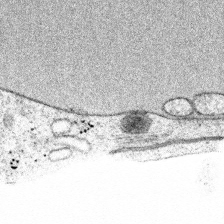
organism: Human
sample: HeLa cells